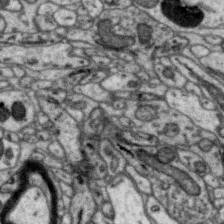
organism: Zebra finch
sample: Brain